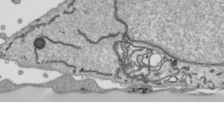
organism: Human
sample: Mitochondria in HCT116 cells